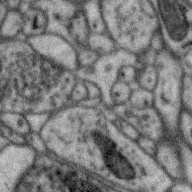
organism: Zebra finch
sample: Brain